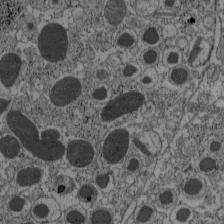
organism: C57BL Mouse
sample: Pancreatic islet